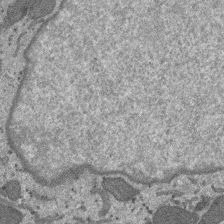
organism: Human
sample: Lung epithelial cells infected with SARS-CoV-2